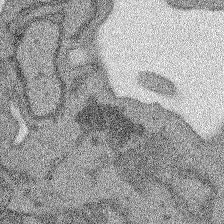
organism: Human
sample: HeLa cells